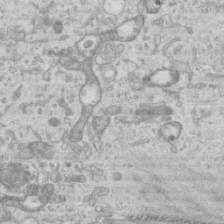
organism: Mouse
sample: Centriole in ependymal cells